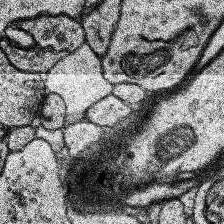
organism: Human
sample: Temporal Lobe